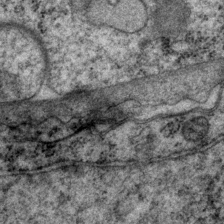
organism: P. pacificus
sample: Pharynx